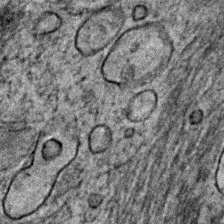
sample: Trachea